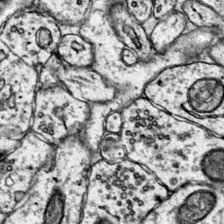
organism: Mouse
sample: Primary visual cortex